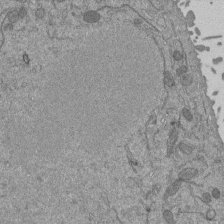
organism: Mouse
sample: ED-1 cell nuclei; centrioles